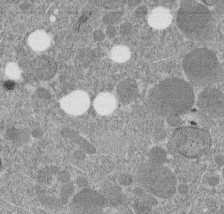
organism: C. elegans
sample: C. elegans embryo early stage